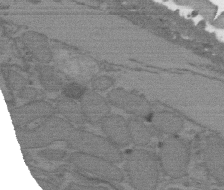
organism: C. elegans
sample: AFD neurons C. elegans